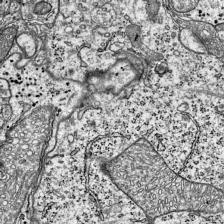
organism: Mouse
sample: Visual Cortex